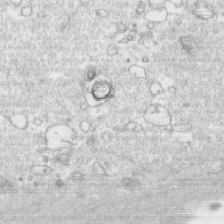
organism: Human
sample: CRL-1474